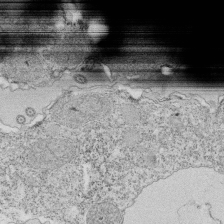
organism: Tetrahymena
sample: Cilia in tetrahymena